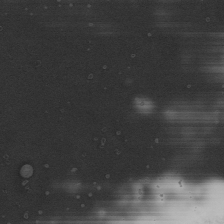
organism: Mouse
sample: Cilia; mouse epididymis